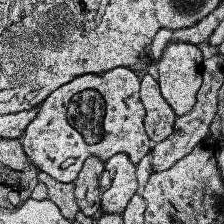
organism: Human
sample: Temporal Lobe